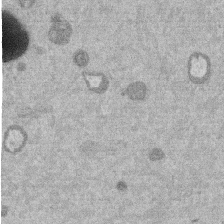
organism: Mouse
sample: Dividing mouse embryo 1 cell stage